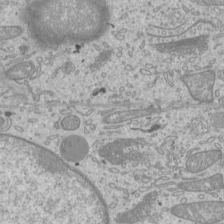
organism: Mouse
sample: Cilia; mouse epididymis